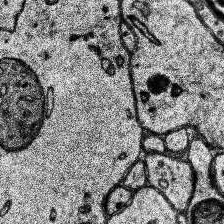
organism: Human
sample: Temporal Lobe